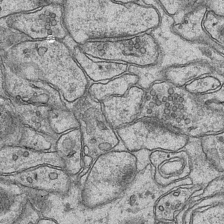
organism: Mouse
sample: CA1 Hippocampus